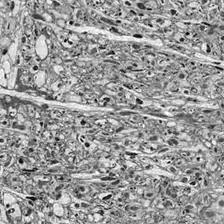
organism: Drosophila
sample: Optic lobe